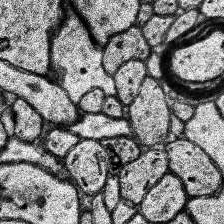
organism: Human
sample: Temporal Lobe